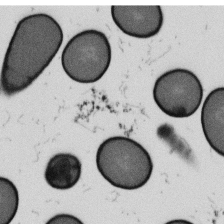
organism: B. subtilis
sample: Bacterial spore